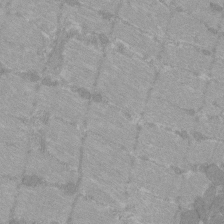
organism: C57BL Mouse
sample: Tibialis anterior muscle cell